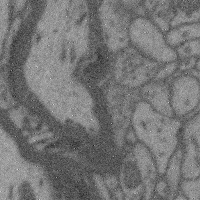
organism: Mouse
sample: Cerebral cortex